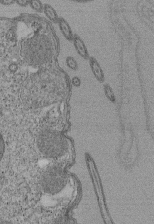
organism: Tetrahymena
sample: Cilia in tetrahymena